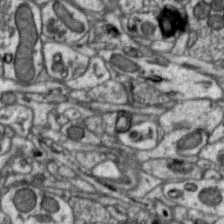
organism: Zebra finch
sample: Brain